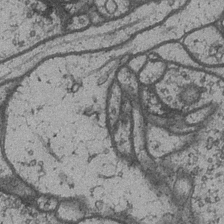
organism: Drosophila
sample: Optic medulla